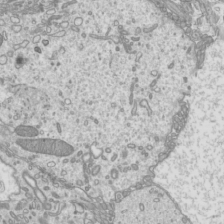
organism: Mouse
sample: Cilia; mouse epididymis